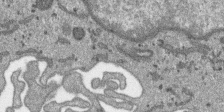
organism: Human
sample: Lung epithelial cells infected with SARS-CoV-2